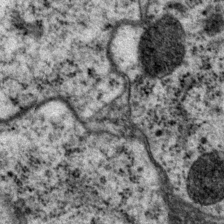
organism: P. pacificus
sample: Pharynx